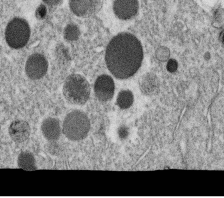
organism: C. elegans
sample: C. elegans oocyte; sperm cells